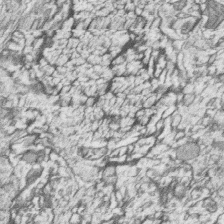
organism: Zebrafish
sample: synaptic ribbons in rod cells and cone cells